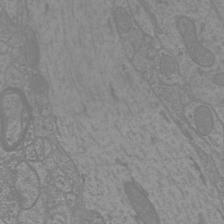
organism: Mouse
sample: Cortical neurons